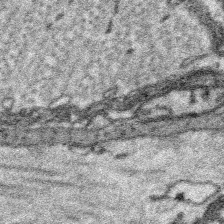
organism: Platynereis dumerilii